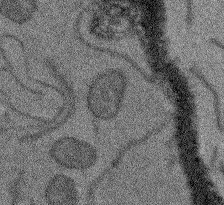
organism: Arabidopsis thaliana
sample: Root tip